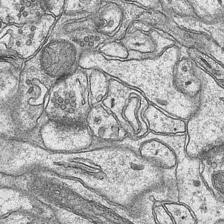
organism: Mouse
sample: CA1 Hippocampus